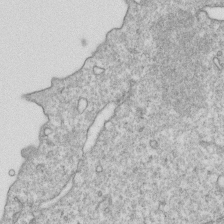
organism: Mouse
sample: Activated OT-1 CD8+ T cells